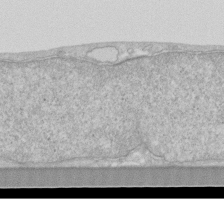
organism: Human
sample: Fibroblast cells